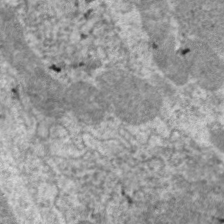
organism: C. elegans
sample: Pharynx